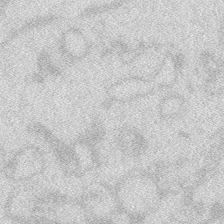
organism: Zebrafish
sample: Macrophage